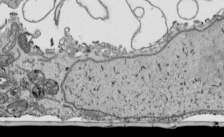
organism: Human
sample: Mitochondria in HCT116 cells